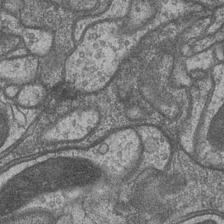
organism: Drosophila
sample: Optic medulla